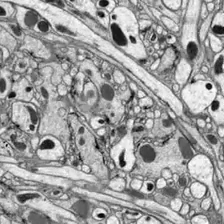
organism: Drosophila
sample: Optic lobe